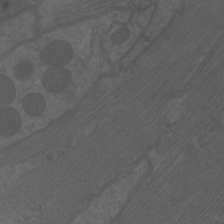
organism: C. elegans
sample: Pharynx